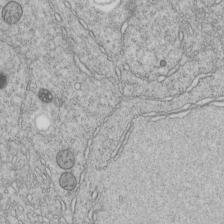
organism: C. elegans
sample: C. elegans embryo early stage